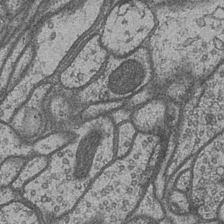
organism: Drosophila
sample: Optic medulla